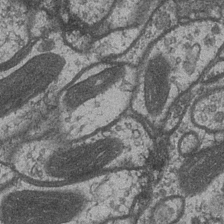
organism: Drosophila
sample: Optic medulla